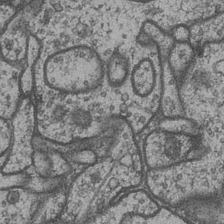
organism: Drosophila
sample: Optic medulla